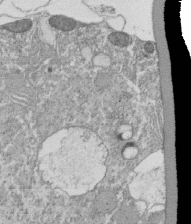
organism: Tetrahymena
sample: Cilia in tetrahymena